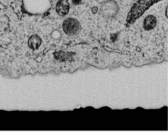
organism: C. elegans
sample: C. elegans embryo early stage